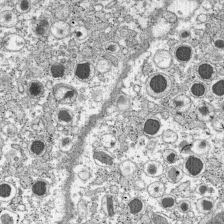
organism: C57BL Mouse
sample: Pancreatic islet